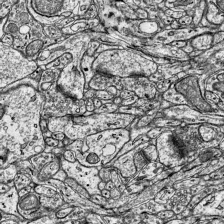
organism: Mouse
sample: Visual Cortex